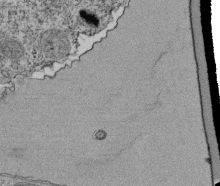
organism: Tetrahymena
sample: Cilia in tetrahymena